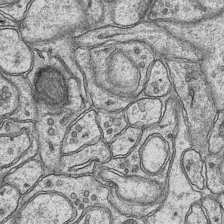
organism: Mouse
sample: CA1 Hippocampus